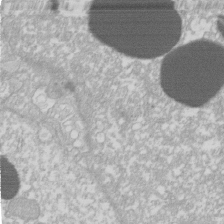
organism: Xenopus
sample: Cilia; centrioles in frog embryo cells